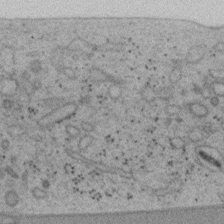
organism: Human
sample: HeLa cells